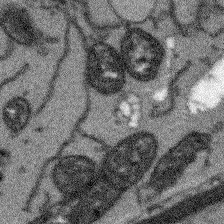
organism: Arabidopsis thaliana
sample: Root tip